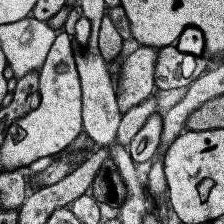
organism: Human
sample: Temporal Lobe